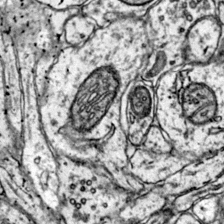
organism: Mouse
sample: Primary visual cortex